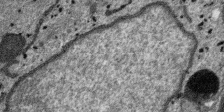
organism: Human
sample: Lung epithelial cells, uninfected (mock) control